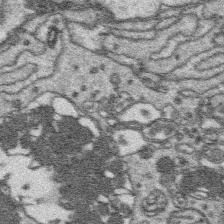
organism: Platynereis dumerilii